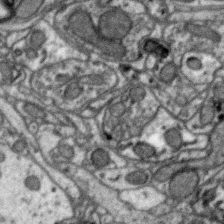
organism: Zebra finch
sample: Brain